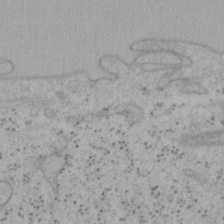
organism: Human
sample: HeLa cells